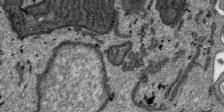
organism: Human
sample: Lung epithelial cells, uninfected (mock) control